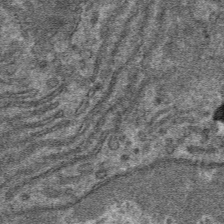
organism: Mouse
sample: Mouse hepatocytes